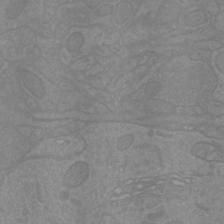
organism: Mouse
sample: Cortical neurons